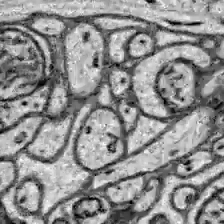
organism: Zebrafish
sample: Brain